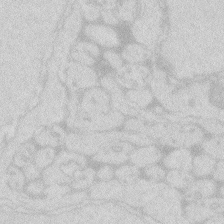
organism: Zebrafish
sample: Macrophage